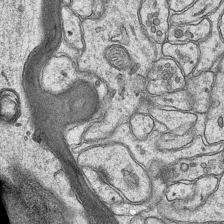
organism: Mouse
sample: CA1 Hippocampus